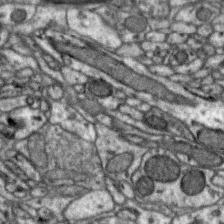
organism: Zebra finch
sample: Brain